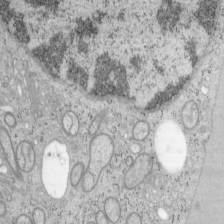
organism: Mouse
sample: OT-I killer T cells with ID8 ovarian cancer cells